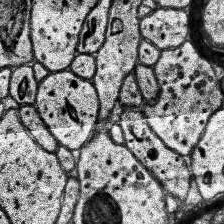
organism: Human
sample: Temporal Lobe